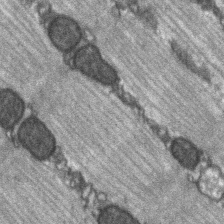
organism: C57BL Mouse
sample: Soleus